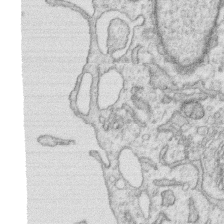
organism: Human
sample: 1205lu cells